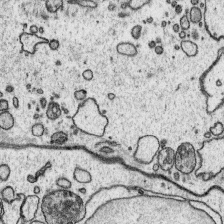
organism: Platynereis dumerilii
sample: Parapodia